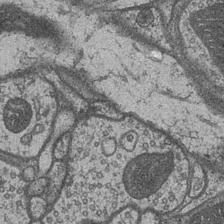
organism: Drosophila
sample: Optic medulla